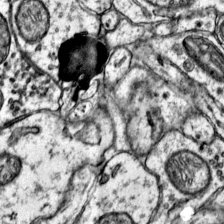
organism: Mouse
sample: Primary visual cortex